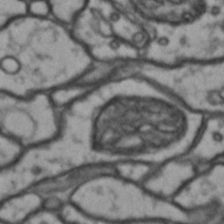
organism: Drosophila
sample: Brain